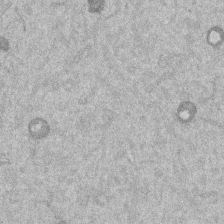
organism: Mouse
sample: Dividing mouse embryo 1 cell stage